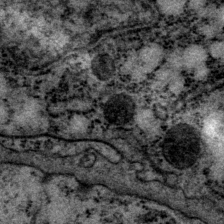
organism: P. pacificus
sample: Pharynx